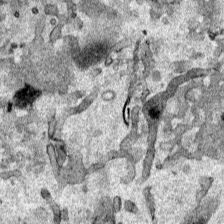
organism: Human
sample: Mitochondria in HCT116 cells